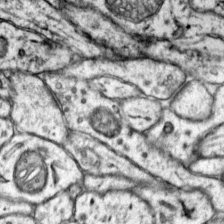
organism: Mouse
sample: Primary visual cortex